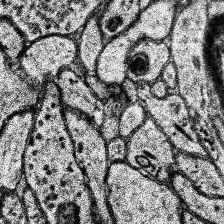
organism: Human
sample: Temporal Lobe